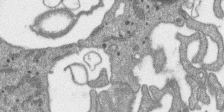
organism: Human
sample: Lung epithelial cells infected with SARS-CoV-2